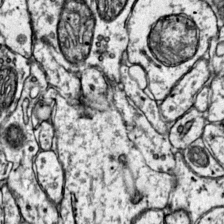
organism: Mouse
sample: Primary visual cortex